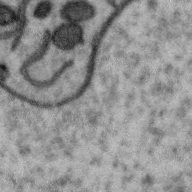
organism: Zebra finch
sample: Brain